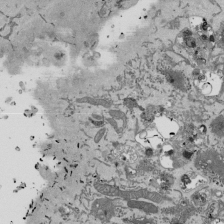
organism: Mouse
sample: ED-1 cell nuclei; centrioles